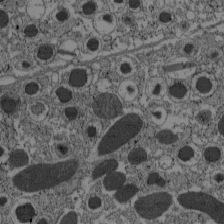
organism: C57BL Mouse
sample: Pancreatic islet